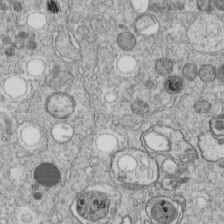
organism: C. elegans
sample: C. elegans embryo early stage